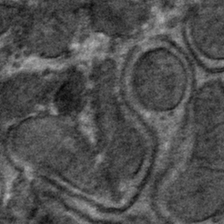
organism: Mouse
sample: Mouse hepatocytes